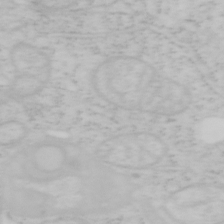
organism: Mouse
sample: OT-I killer T cells with ID8 ovarian cancer cells